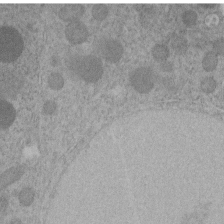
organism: C. elegans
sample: C. elegans embryo early stage